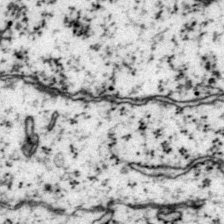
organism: Mouse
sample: Primary visual cortex